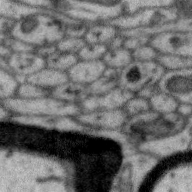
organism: Zebra finch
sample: Brain